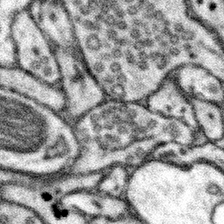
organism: Mouse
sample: Somatosensory cortex neuropil